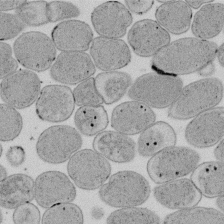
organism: E. coli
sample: Bacterial nucleoid